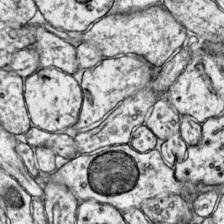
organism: Mouse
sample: Primary visual cortex